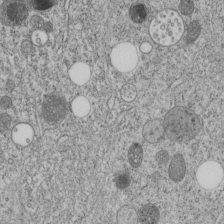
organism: C. elegans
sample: C. elegans embryo early stage